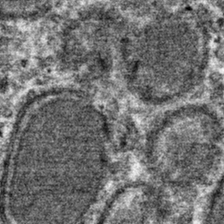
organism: Mouse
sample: Mouse hepatocytes